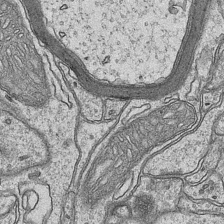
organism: Mouse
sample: CA1 Hippocampus